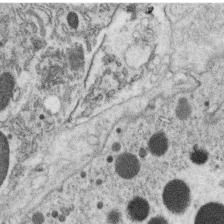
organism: C. elegans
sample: C. elegans oocyte; sperm cells